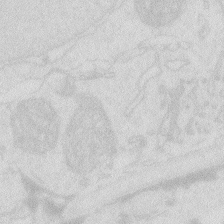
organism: Zebrafish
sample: Macrophage